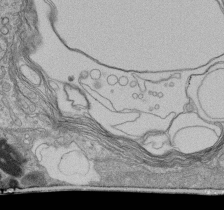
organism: Human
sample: Retinal organoid Rod and Cone cells